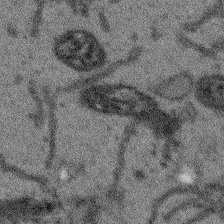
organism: Arabidopsis thaliana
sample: Root tip